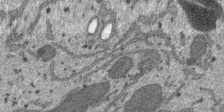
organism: Human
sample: Lung epithelial cells infected with SARS-CoV-2